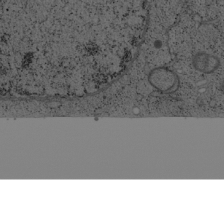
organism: African green monkey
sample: COS-7 cells